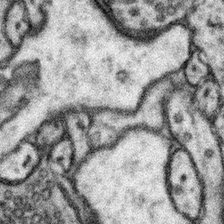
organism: Mouse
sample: Somatosensory cortex neuropil